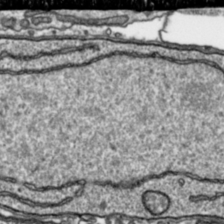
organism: Toxoplasma gondii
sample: Parasites in a vacuole inside a host cell